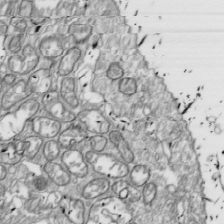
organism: Drosophila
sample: Cell division; meiosis; drosophila spermatocytes